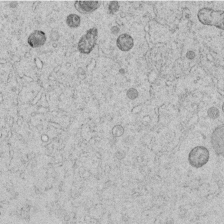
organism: C. elegans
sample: C. elegans embryo early stage